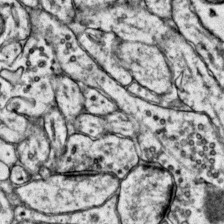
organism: Mouse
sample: Primary visual cortex